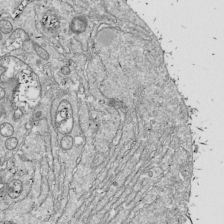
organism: Drosophila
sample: Cell division; meiosis; drosophila spermatocytes